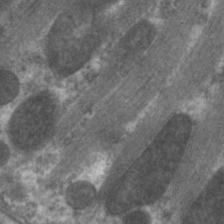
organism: C. elegans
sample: Pharynx